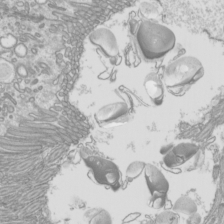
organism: Mouse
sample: Cilia; mouse epididymis